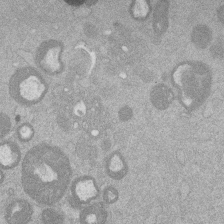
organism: Mouse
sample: Dividing mouse embryo 1 cell stage